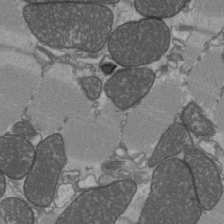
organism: C57BL Mouse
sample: Heart